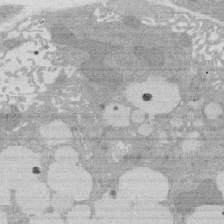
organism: Rat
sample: Salivary granule